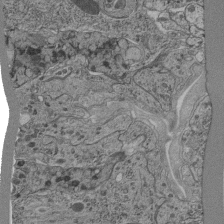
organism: C. elegans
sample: C. elegans pharynx